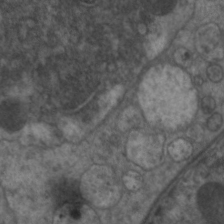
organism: C. elegans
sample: Pharynx